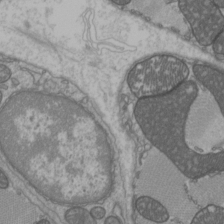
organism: C57BL Mouse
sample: Heart